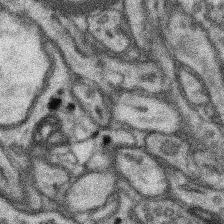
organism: Mouse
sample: Somatosensory cortex neuropil